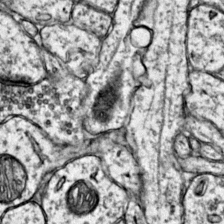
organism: Mouse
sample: Primary visual cortex